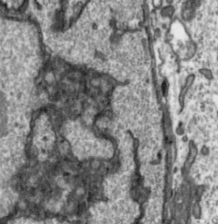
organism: Toxoplasma gondii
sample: Parasites in a vacuole inside a host cell